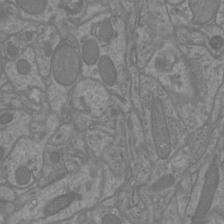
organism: Mouse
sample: Cortical neurons